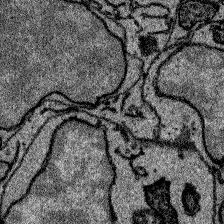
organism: Zebrafish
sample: Larval olfactory bulb